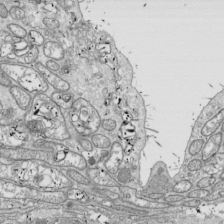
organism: Drosophila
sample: Cell division; meiosis; drosophila spermatocytes